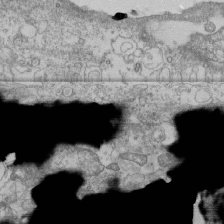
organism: Human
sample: Fibroblast cells